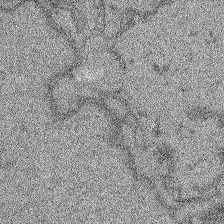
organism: Human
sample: HeLa cells